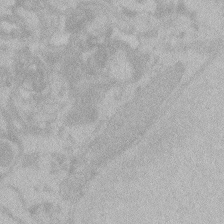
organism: Zebrafish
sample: Macrophage infected with Toxoplasma gondii